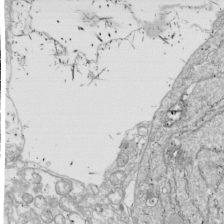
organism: Drosophila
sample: Cell division; meiosis; drosophila spermatocytes